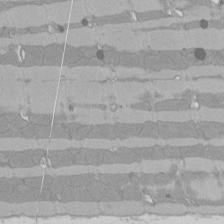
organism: Rat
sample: Left ventricle